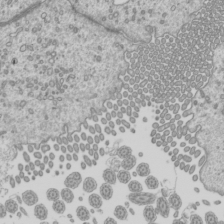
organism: Mouse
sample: Cilia; mouse epididymis